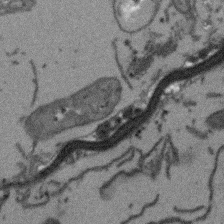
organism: Arabidopsis thaliana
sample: Root tip